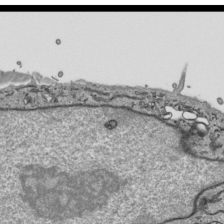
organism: Human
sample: Mitochondria in HCT116 cells